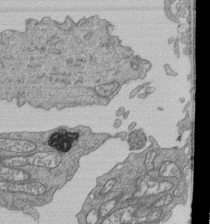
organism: Human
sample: Retinal organoid Rod and Cone cells